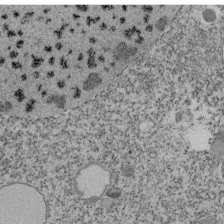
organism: Tetrahymena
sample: Cilia in tetrahymena